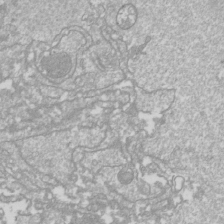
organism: Drosophila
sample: Cell division; meiosis; drosophila spermatocytes